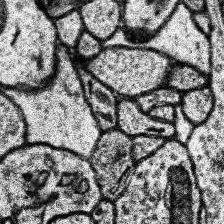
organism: Human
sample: Temporal Lobe